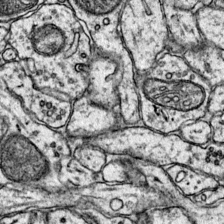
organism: Mouse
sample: Primary visual cortex